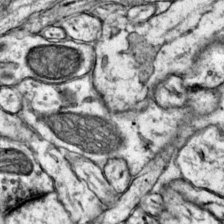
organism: Mouse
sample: Primary visual cortex